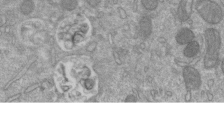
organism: Mouse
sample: ED-1 cell nuclei; centrioles